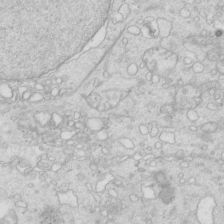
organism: Mouse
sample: Multiciliated cells